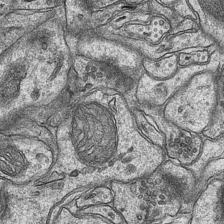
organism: Mouse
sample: CA1 Hippocampus